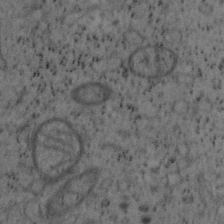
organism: Human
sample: HeLa cells